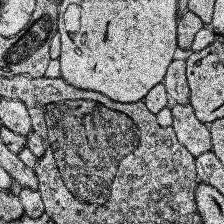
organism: Human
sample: Temporal Lobe